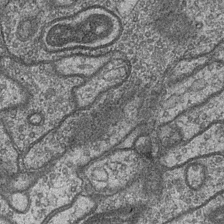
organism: Drosophila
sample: Optic medulla